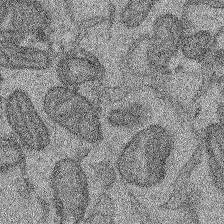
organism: Human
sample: HeLa cells